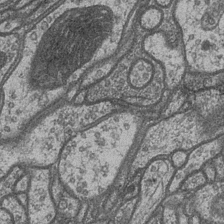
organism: Drosophila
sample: Optic medulla